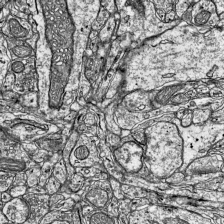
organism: Mouse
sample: Visual Cortex